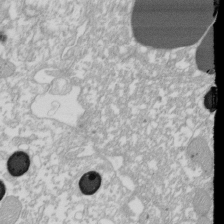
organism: Xenopus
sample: Cilia; centrioles in frog embryo cells